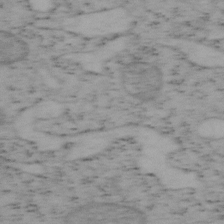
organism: Mouse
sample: OT-I killer T cells with ID8 ovarian cancer cells